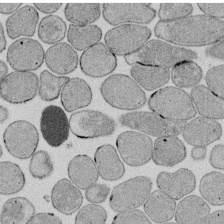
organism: E. coli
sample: Bacterial nucleoid